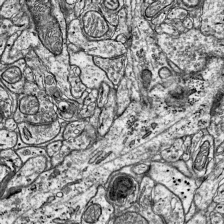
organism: Mouse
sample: Visual Cortex